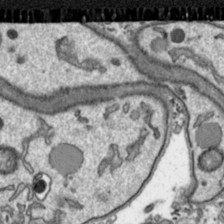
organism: Toxoplasma gondii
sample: Parasites in a vacuole inside a host cell